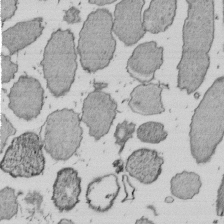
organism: E. coli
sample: Bacterial nucleoid